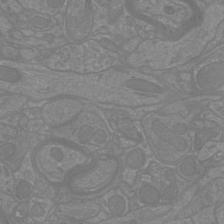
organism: Mouse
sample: Cortical neurons